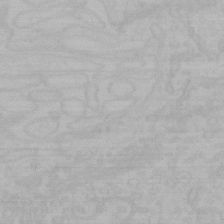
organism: Mouse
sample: Choroid plexus